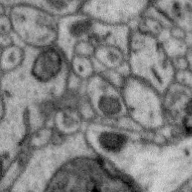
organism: Zebra finch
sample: Brain